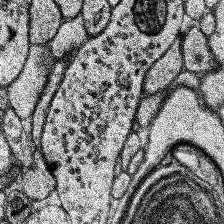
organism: Human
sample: Temporal Lobe